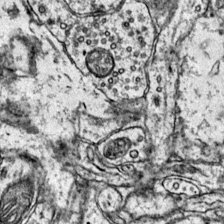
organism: Mouse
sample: Primary visual cortex